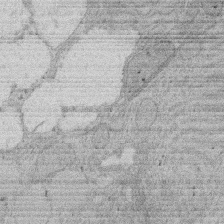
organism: Rat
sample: Salivary granule